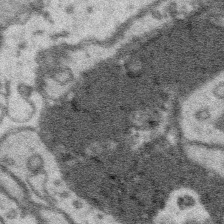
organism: Platynereis dumerilii